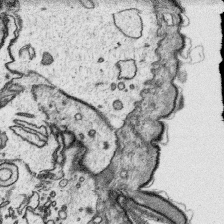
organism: Platynereis dumerilii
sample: Parapodia